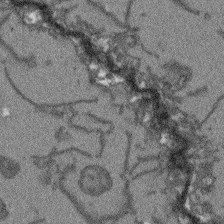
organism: Arabidopsis thaliana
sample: Root tip